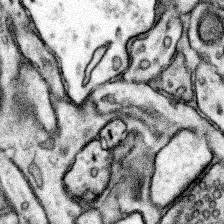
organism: Mouse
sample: Somatosensory cortex neuropil